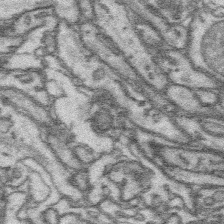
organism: Platynereis dumerilii